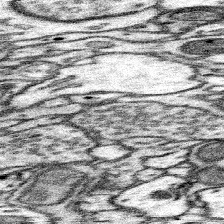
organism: Mouse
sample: Somatosensory cortex neuropil